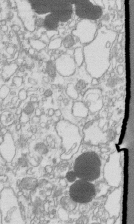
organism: Mouse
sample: Macrophages